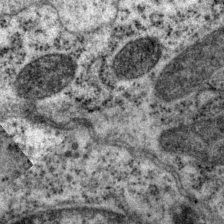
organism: P. pacificus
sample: Pharynx